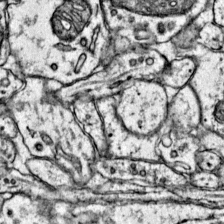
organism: Mouse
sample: Primary visual cortex